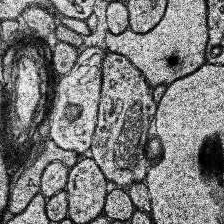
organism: Human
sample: Temporal Lobe